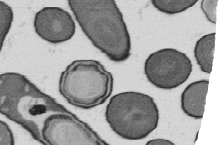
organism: B. subtilis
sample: Bacterial spore